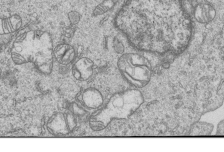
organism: Human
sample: MDA-MB-231 cells